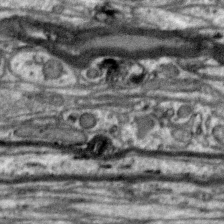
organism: Zebra finch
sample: Brain